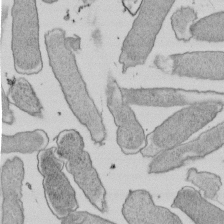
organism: E. coli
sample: Bacterial nucleoid